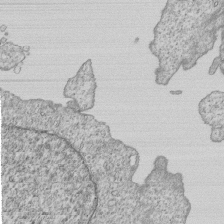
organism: Human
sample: MDA-MB-231 cells